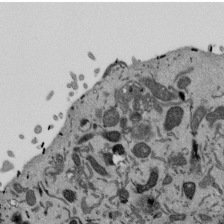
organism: Mouse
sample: ED-1 cell nuclei; centrioles